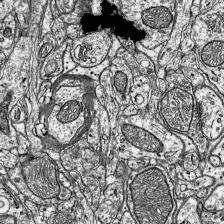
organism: Mouse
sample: Visual Cortex